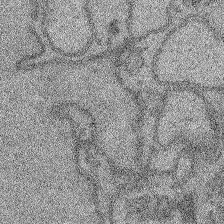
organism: Human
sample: HeLa cells